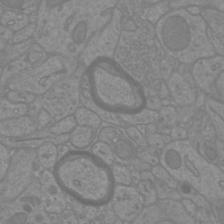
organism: Mouse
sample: Cortical neurons